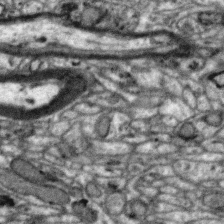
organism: Zebra finch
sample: Brain